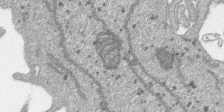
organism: Human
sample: Lung epithelial cells infected with SARS-CoV-2